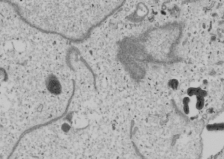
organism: Human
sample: Mitochondria in U2OS cells